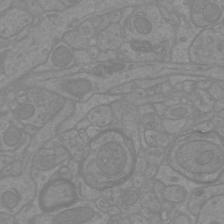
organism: Mouse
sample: Cortical neurons